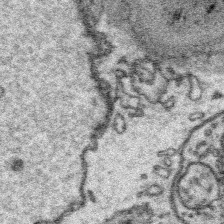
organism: Platynereis dumerilii